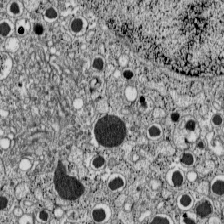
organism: C57BL Mouse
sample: Pancreatic islet